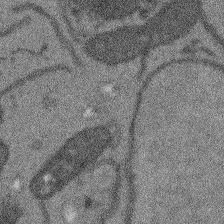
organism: Arabidopsis thaliana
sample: Root tip